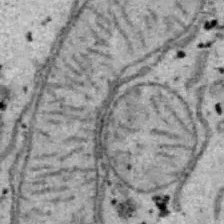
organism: Mouse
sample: Liver from an obese (ob/ob) mouse